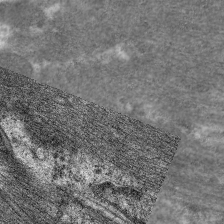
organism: C. elegans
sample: Pharynx